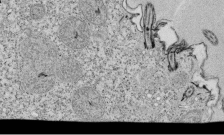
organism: Tetrahymena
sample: Cilia in tetrahymena